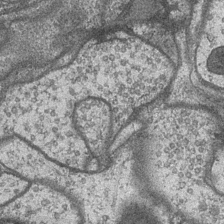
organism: Drosophila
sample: Optic medulla